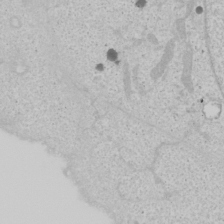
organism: Human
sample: Mitochondria in U2OS cells